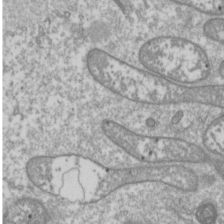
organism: Drosophila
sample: Cell division; meiosis; drosophila spermatocytes